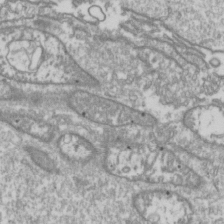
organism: Drosophila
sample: Cell division; meiosis; drosophila spermatocytes